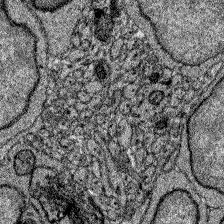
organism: Zebrafish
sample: Larval olfactory bulb